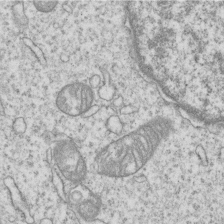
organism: Human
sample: MDA-MB-231 cells